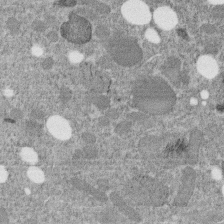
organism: C. elegans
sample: C. elegans embryo early stage